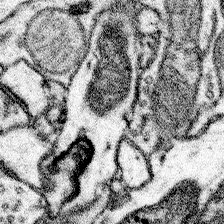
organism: Mouse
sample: Somatosensory cortex neuropil